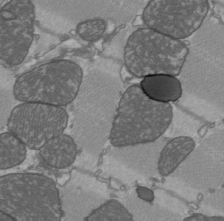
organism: C57BL Mouse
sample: Heart